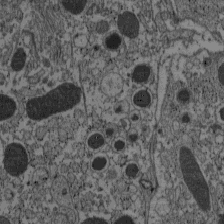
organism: C57BL Mouse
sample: Pancreatic islet